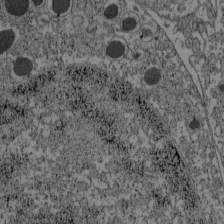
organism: C57BL Mouse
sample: Pancreatic islet